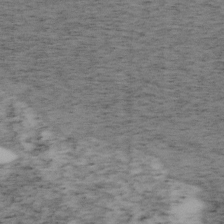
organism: Mouse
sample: OT-I killer T cells with ID8 ovarian cancer cells